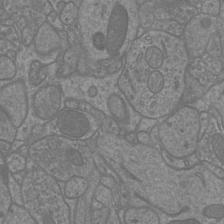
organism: Mouse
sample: Cortical neurons